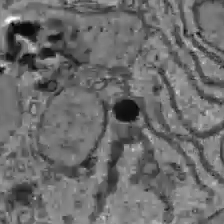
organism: C57BL Mouse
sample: Liver